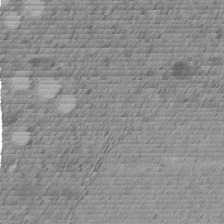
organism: C. elegans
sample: C. elegans embryo early stage